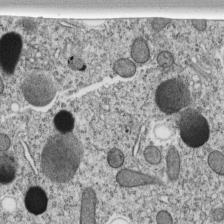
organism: C. elegans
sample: C. elegans embryo early stage